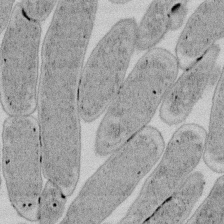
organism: E. coli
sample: Bacterial nucleoid